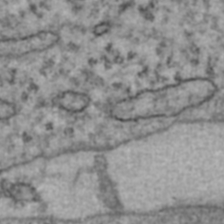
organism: Human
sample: Blood